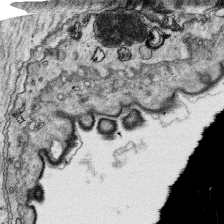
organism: Platynereis dumerilii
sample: Parapodia